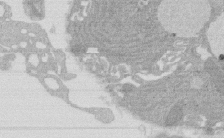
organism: Rat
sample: Salivary granule